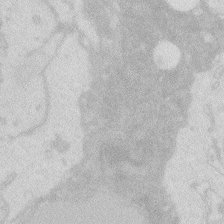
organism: Zebrafish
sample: Macrophage